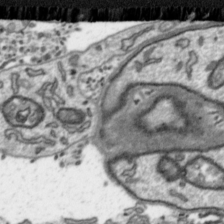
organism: Toxoplasma gondii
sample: Parasites in a vacuole inside a host cell